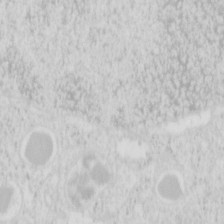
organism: Mouse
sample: Pancreas